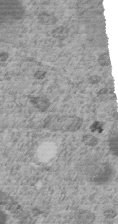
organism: C. elegans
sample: C. elegans embryo early stage